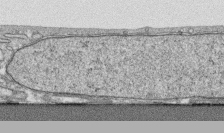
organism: Human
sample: CRL-1474